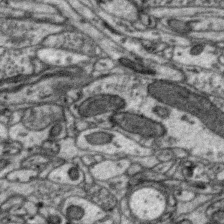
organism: Zebra finch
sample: Brain